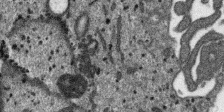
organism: Human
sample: Lung epithelial cells infected with SARS-CoV-2